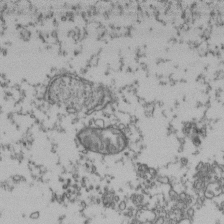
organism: Human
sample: Activated Jurkat CD4+ T cells